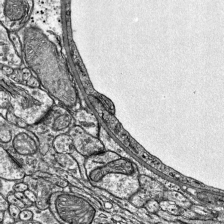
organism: Mouse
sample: Visual Cortex